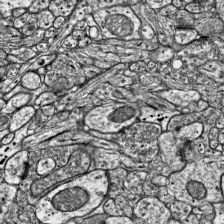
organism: Mouse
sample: Visual Cortex